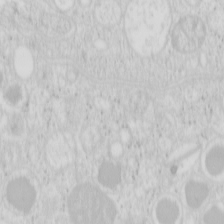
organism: Mouse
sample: Pancreas